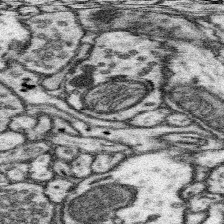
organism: Mouse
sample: Somatosensory cortex neuropil